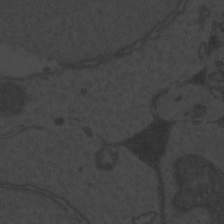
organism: Zebrafish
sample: Macrophage infected with Toxoplasma gondii